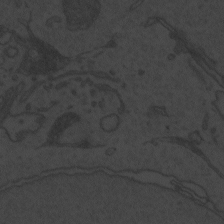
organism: Zebrafish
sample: Macrophage infected with Toxoplasma gondii